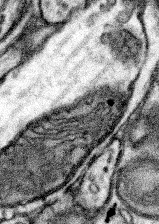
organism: Mouse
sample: Somatosensory cortex neuropil